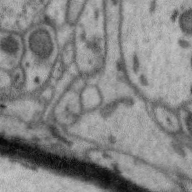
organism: Zebra finch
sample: Brain